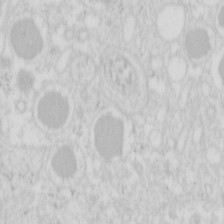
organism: Mouse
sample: Pancreas